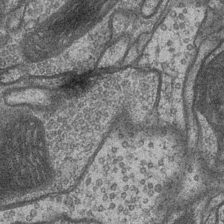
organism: Drosophila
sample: Optic medulla